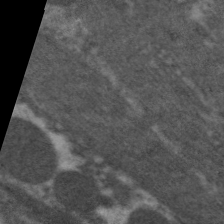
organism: C. elegans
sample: Pharynx